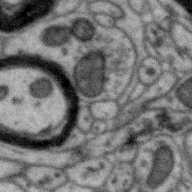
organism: Zebra finch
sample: Brain